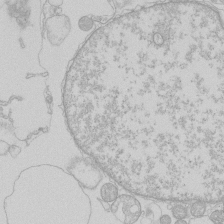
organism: Human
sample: Macrophage cells